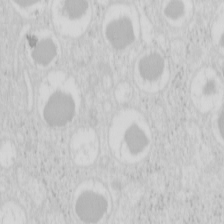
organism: Mouse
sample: Pancreas